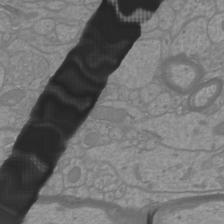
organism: Mouse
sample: Cortical neurons